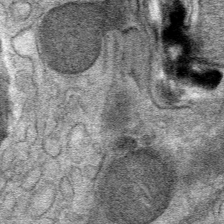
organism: Mouse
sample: Mouse Salivary gland